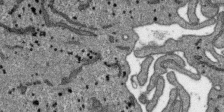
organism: Human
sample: Lung epithelial cells, uninfected (mock) control